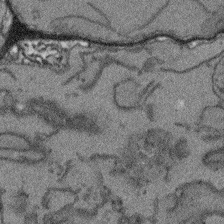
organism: Arabidopsis thaliana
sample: Root tip